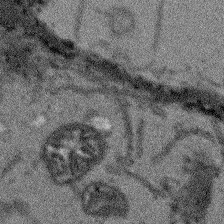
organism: Arabidopsis thaliana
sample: Root tip